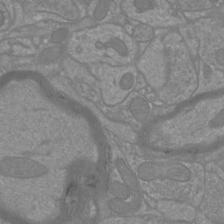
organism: Mouse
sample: Cortical neurons